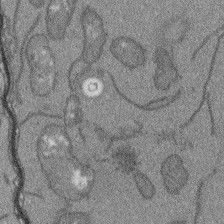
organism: Arabidopsis thaliana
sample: Root tip